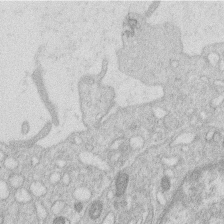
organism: Human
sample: Macrophage cells